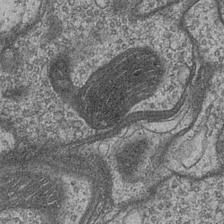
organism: Drosophila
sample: Optic medulla